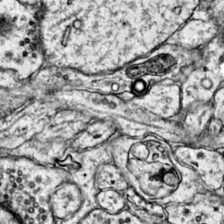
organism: Mouse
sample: Primary visual cortex